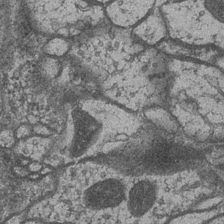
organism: Drosophila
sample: Optic medulla